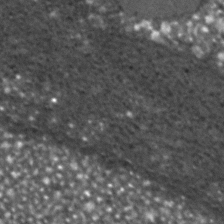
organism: C. elegans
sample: C. elegans embryo